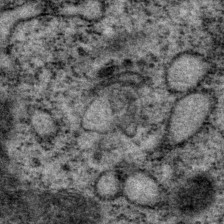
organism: P. pacificus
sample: Pharynx